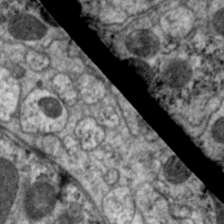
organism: C. elegans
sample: Pharynx